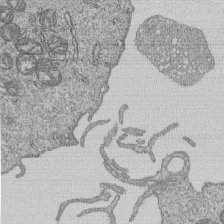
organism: Human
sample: MDA-MB-231 cells